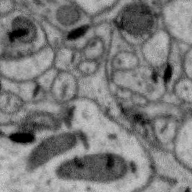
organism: Zebra finch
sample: Brain